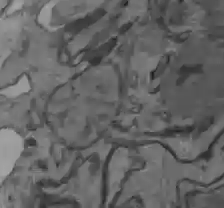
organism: C57BL Mouse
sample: Liver